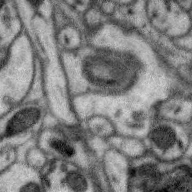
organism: Zebra finch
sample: Brain